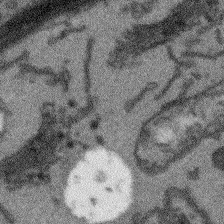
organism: Arabidopsis thaliana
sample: Root tip